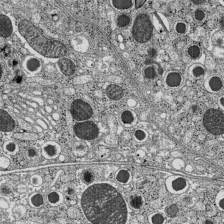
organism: C57BL Mouse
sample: Pancreatic islet